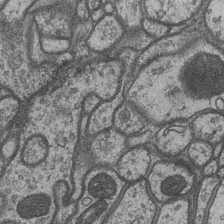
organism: Drosophila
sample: Optic medulla